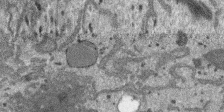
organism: Human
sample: Lung epithelial cells infected with SARS-CoV-2